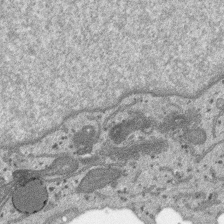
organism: Human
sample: Lung epithelial cells infected with SARS-CoV-2